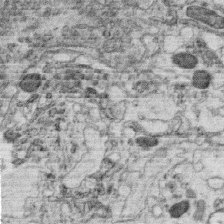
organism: C. elegans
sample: C. elegans oocyte; sperm cells